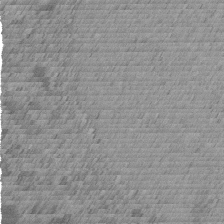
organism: C. elegans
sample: C. elegans embryo early stage